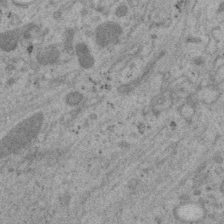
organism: Human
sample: HeLa cells